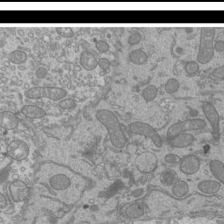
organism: Mouse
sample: Cilia; mouse epididymis